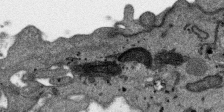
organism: Human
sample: Lung epithelial cells, uninfected (mock) control